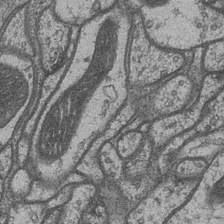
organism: Drosophila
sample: Optic medulla